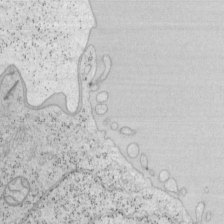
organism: Mouse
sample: OT-I killer T cells with ID8 ovarian cancer cells